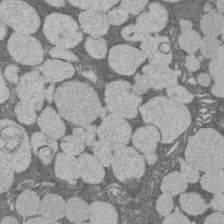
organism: Rat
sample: Salivary granule